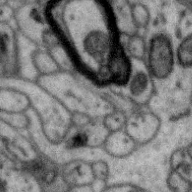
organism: Zebra finch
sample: Brain